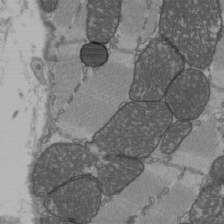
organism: C57BL Mouse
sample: Heart